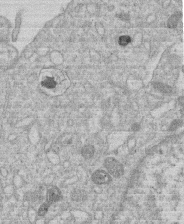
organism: Human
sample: Macrophage cells